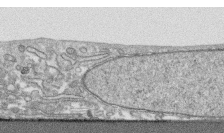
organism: Human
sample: CRL-1474